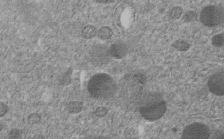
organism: C. elegans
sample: C. elegans embryo early stage